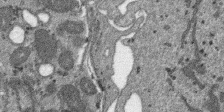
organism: Human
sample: Lung epithelial cells infected with SARS-CoV-2